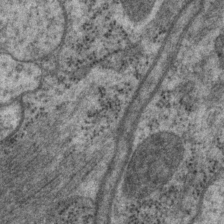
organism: P. pacificus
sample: Pharynx